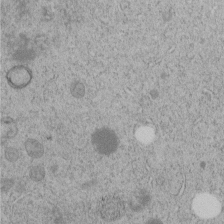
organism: C. elegans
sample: C. elegans embryo early stage